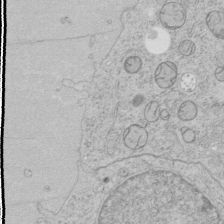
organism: Human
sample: Mitochondria in HCT116 cells